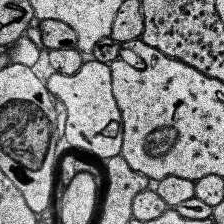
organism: Human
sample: Temporal Lobe